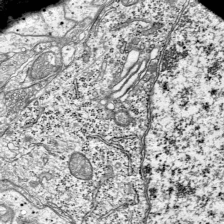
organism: Mouse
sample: Visual Cortex